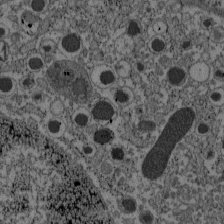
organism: C57BL Mouse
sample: Pancreatic islet